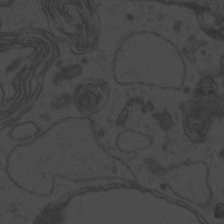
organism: Zebrafish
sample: Macrophage infected with Toxoplasma gondii